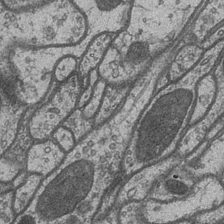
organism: Drosophila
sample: Optic medulla